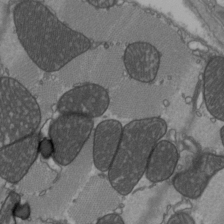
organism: C57BL Mouse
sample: Heart